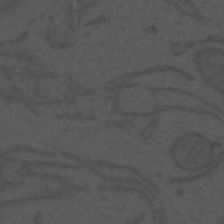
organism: Mouse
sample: Suprachiasmatic nucleus